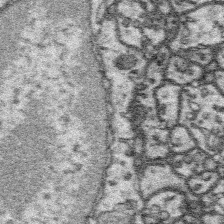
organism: Platynereis dumerilii